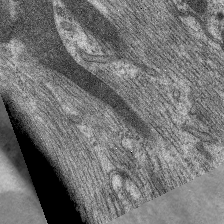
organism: C. elegans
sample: Pharynx